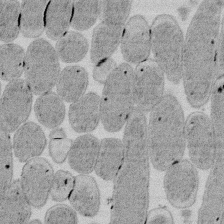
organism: E. coli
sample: Bacterial nucleoid